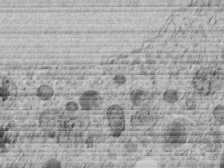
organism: C. elegans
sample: C. elegans embryo early stage